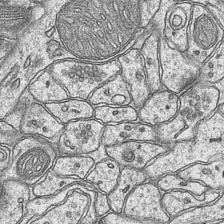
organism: Mouse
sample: CA1 Hippocampus